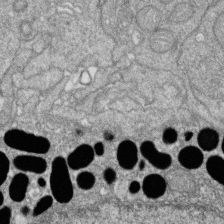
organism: Zebrafish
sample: Cilia; retinal pigment epithelium